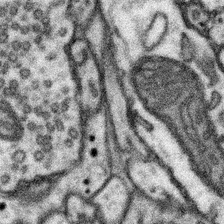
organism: Mouse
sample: Somatosensory cortex neuropil